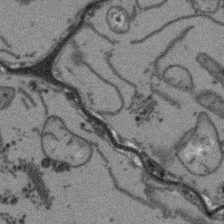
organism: Arabidopsis thaliana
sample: Root tip